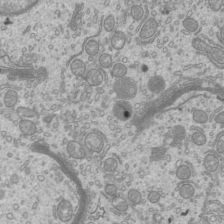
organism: Mouse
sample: Cilia; mouse epididymis